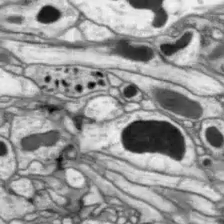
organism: Drosophila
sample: Optic lobe